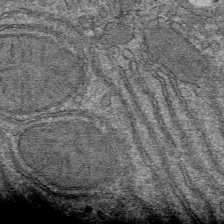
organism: Mouse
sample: Mouse hepatocytes